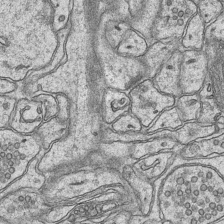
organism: Mouse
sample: CA1 Hippocampus